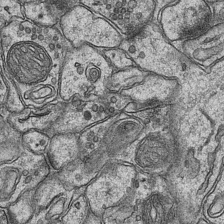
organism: Mouse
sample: CA1 Hippocampus